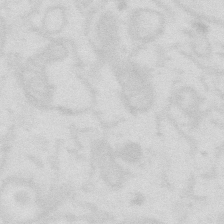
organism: Human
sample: HeLa cells